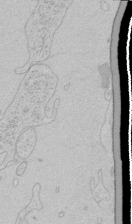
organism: Human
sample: Mitochondria in HCT116 cells